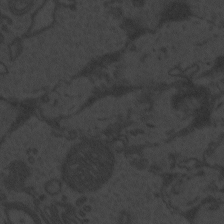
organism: Zebrafish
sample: Macrophage infected with Toxoplasma gondii